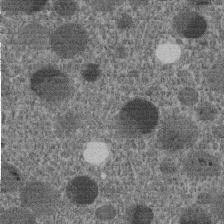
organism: C. elegans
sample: C. elegans embryo early stage